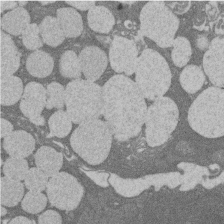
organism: Rat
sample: Salivary granule